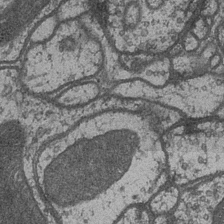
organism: Drosophila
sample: Optic medulla